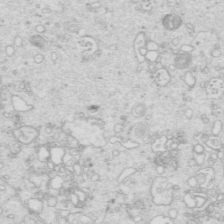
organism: Mouse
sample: Multiciliated cells